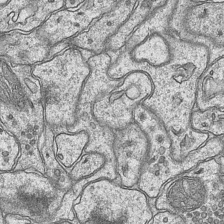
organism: Mouse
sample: CA1 Hippocampus